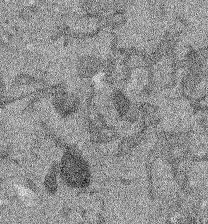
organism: Human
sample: HeLa cells